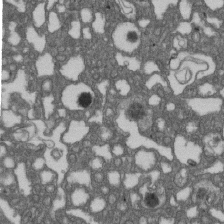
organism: Drosophila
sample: Nephrocyte